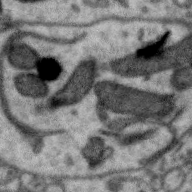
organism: Zebra finch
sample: Brain